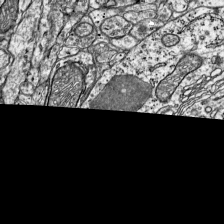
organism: Mouse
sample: Visual Cortex